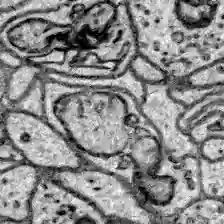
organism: Zebrafish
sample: Brain